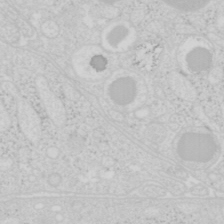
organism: Mouse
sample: Pancreas